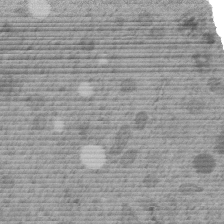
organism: C. elegans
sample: C. elegans embryo early stage